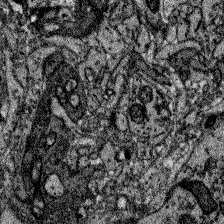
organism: Zebrafish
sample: Larval olfactory bulb